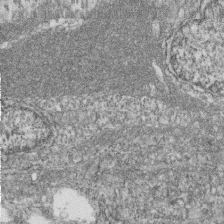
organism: Zebrafish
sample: Cilia; retinal pigment epithelium